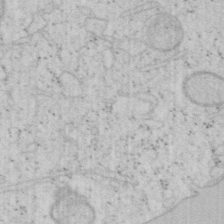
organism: Human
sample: HeLa cells